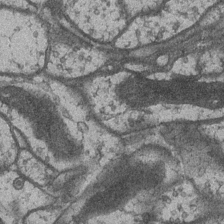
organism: Drosophila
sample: Optic medulla